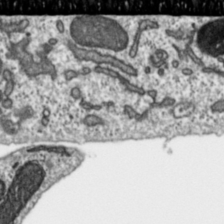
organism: Toxoplasma gondii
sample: Parasites in a vacuole inside a host cell